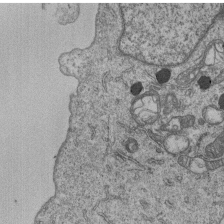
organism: Human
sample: MDA-MB-231 cells